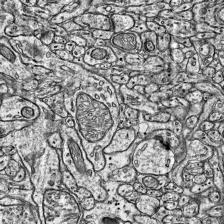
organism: Mouse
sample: Visual Cortex